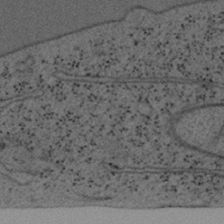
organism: Human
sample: HeLa cells